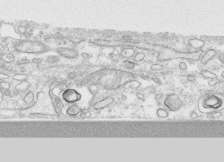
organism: Human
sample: CRL-1474